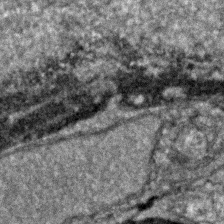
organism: Zebrafish